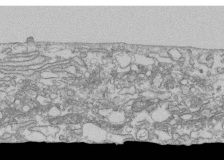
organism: Human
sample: Fibroblast cells